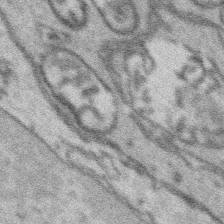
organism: Platynereis dumerilii